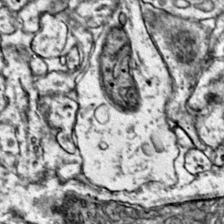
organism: Mouse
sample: Primary visual cortex